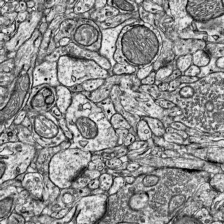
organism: Mouse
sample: Visual Cortex